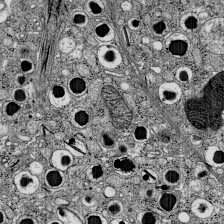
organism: C57BL Mouse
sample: Pancreatic islet